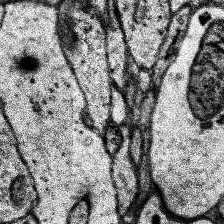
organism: Human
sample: Temporal Lobe